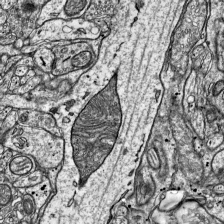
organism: Mouse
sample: Visual Cortex